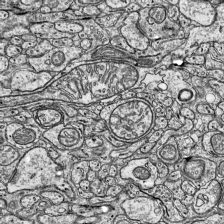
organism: Mouse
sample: Visual Cortex